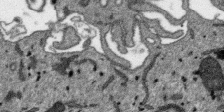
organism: Human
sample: Lung epithelial cells, uninfected (mock) control